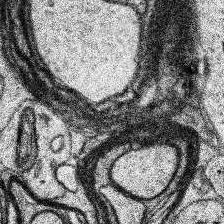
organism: Human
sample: Temporal Lobe